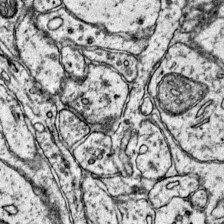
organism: Mouse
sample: Primary visual cortex